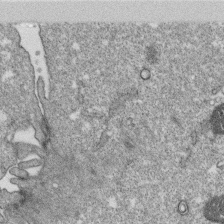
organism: African green monkey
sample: Vero E6 cells infected with SARS-CoV-2